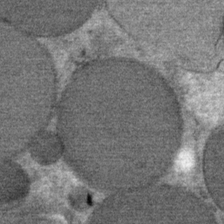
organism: Mouse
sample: Mouse Salivary gland